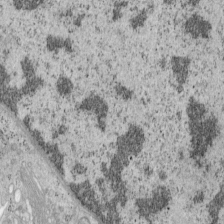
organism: Mouse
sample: OT-I killer T cells with ID8 ovarian cancer cells